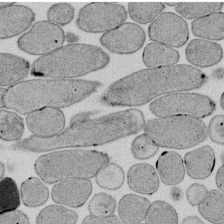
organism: E. coli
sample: Bacterial nucleoid